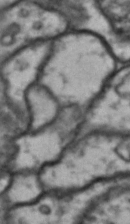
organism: Drosophila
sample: Brain